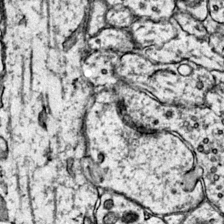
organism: Mouse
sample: Primary visual cortex